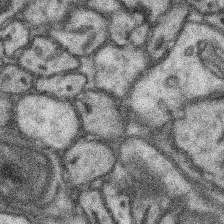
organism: Mouse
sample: Somatosensory cortex neuropil